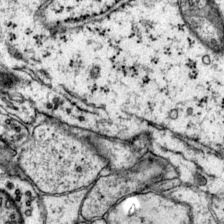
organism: Mouse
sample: Primary visual cortex